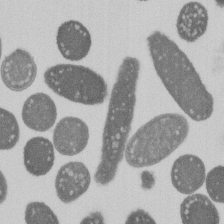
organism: E. coli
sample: Bacterial nucleoid